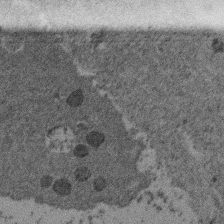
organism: Mouse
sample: Dividing mouse embryo 1 cell stage